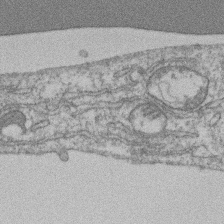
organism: Mouse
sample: T cell stromal cell synapse